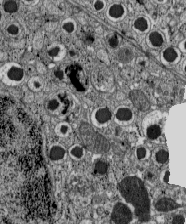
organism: C57BL Mouse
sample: Pancreatic islet